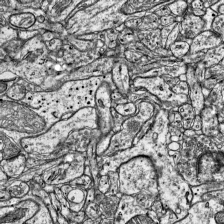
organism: Mouse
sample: Visual Cortex